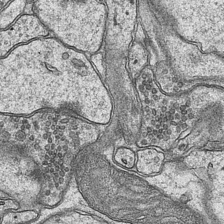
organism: Mouse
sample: CA1 Hippocampus